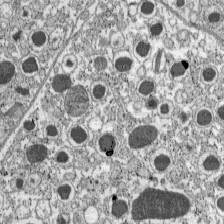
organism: C57BL Mouse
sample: Pancreatic islet